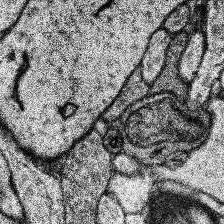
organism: Human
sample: Temporal Lobe